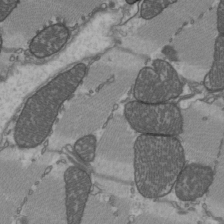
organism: C57BL Mouse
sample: Heart